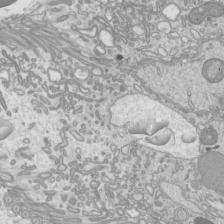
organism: Mouse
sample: Cilia; mouse epididymis